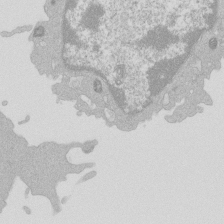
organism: Mouse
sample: Activated Pmel transgenic CD8+ T Cells